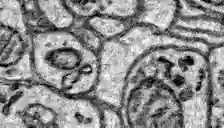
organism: Zebrafish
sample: Brain